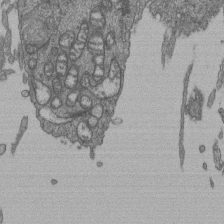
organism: Human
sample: Retinal organoid Rod and Cone cells